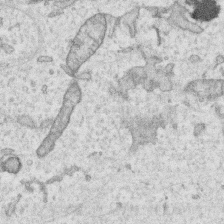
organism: Human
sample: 1205lu cells